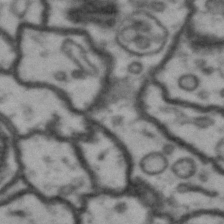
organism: Drosophila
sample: Brain